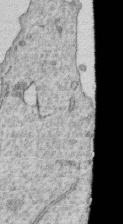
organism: Human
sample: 1205lu cells